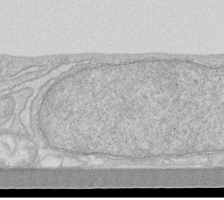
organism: Human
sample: Fibroblast cells